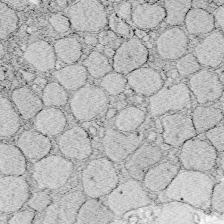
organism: Zebrafish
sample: Whole-Brain